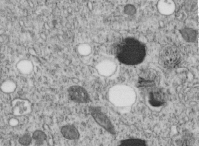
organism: C. elegans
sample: C. elegans embryo early stage